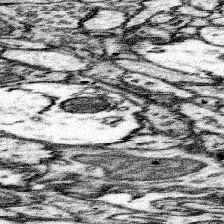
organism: Mouse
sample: Somatosensory cortex neuropil